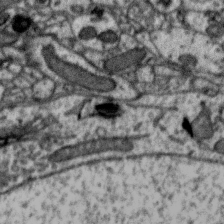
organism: Zebra finch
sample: Brain